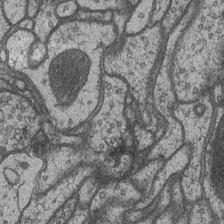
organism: Drosophila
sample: Optic medulla